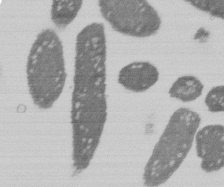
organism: E. coli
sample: Bacterial nucleoid